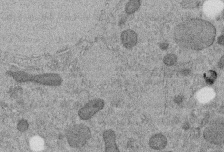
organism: C. elegans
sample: C. elegans embryo early stage